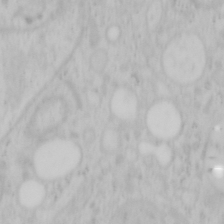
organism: Mouse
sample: OT-I killer T cells with ID8 ovarian cancer cells